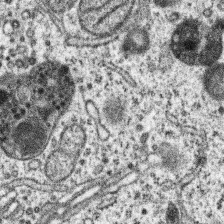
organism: Human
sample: HeLa cells